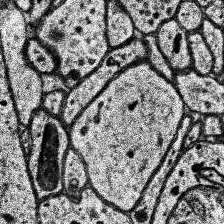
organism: Human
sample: Temporal Lobe